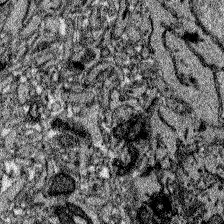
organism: Zebrafish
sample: Larval olfactory bulb